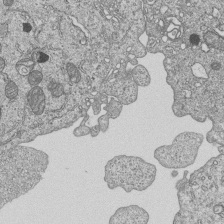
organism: Human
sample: MDA-MB-231 cells